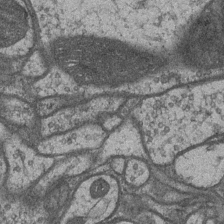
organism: Drosophila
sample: Optic medulla